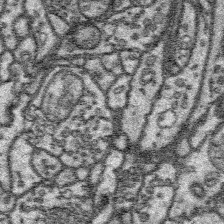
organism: Platynereis dumerilii